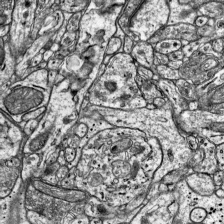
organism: Mouse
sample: Visual Cortex